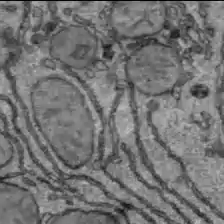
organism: C57BL Mouse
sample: Liver